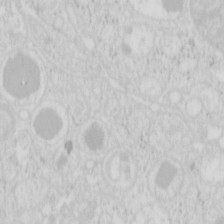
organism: Mouse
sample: Pancreas